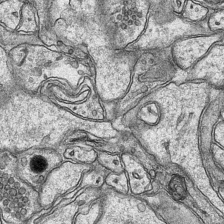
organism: Mouse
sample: CA1 Hippocampus